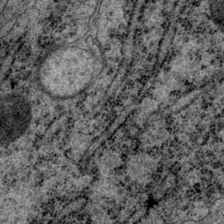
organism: P. pacificus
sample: Pharynx